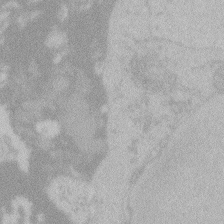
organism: Zebrafish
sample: Macrophage infected with Toxoplasma gondii